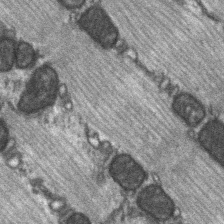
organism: C57BL Mouse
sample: Soleus